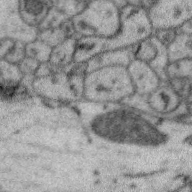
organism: Zebra finch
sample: Brain